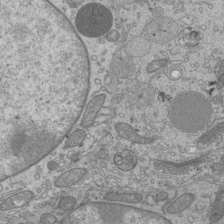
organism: Mouse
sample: Cilia; mouse epididymis